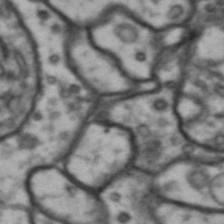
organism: Drosophila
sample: Brain